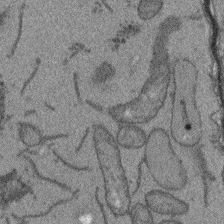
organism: Arabidopsis thaliana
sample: Root tip